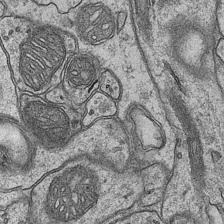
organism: Mouse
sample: CA1 Hippocampus